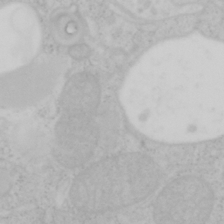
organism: Mouse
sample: OT-I killer T cells with ID8 ovarian cancer cells